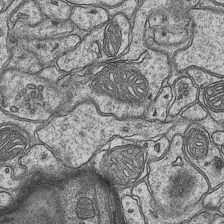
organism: Mouse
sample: CA1 Hippocampus